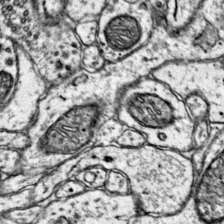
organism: Mouse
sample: Primary visual cortex